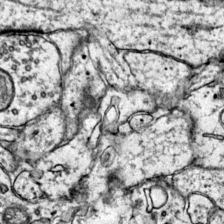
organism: Mouse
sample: Primary visual cortex